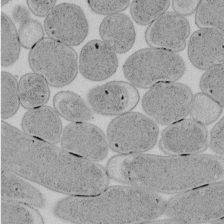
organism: E. coli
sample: Bacterial nucleoid